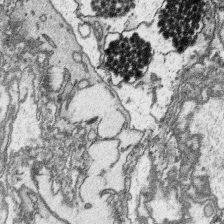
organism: Platynereis dumerilii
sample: Parapodia